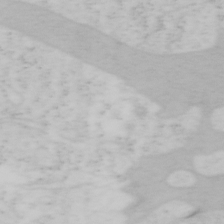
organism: Mouse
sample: OT-I killer T cells with ID8 ovarian cancer cells